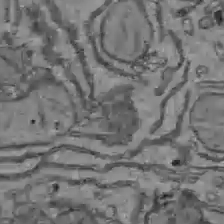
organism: C57BL Mouse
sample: Liver